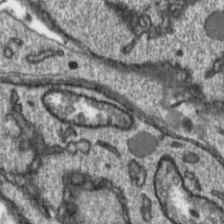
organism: Toxoplasma gondii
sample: Parasites in a vacuole inside a host cell